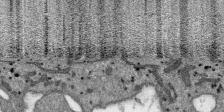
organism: Human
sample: Lung epithelial cells, uninfected (mock) control